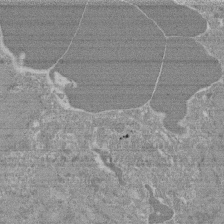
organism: Mouse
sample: Glomerulus